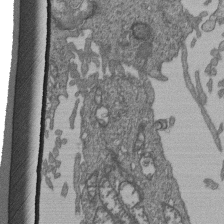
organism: Human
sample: Retinal organoid Rod and Cone cells